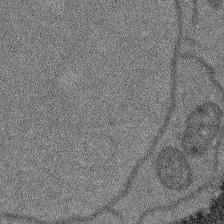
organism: Arabidopsis thaliana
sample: Root tip